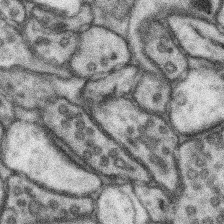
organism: Mouse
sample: Somatosensory cortex neuropil